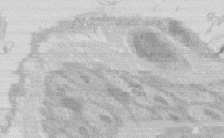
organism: Rat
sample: Salivary granule